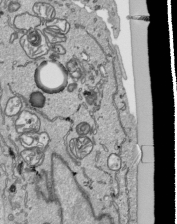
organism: Human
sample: Mitochondria in HCT116 cells